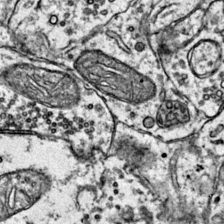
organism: Mouse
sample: Primary visual cortex